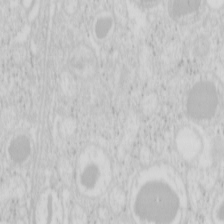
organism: Mouse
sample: Pancreas